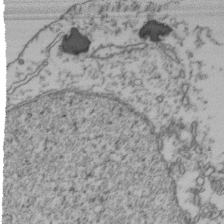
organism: Human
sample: Activated Jurkat CD4+ T cells